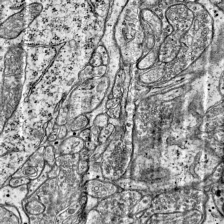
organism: Mouse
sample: Visual Cortex